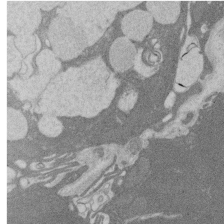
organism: Rat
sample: Salivary granule